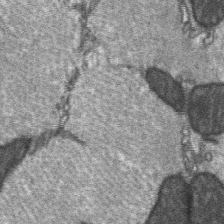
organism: C57BL Mouse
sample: Soleus